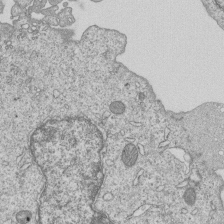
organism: Human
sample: MDA-MB-231 cells